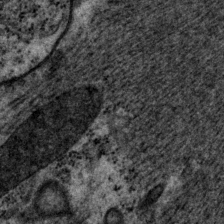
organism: P. pacificus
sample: Pharynx